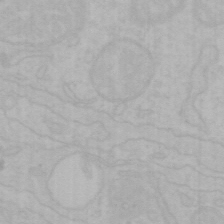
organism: Mouse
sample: Choroid plexus